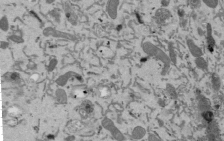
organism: Mouse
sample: ED-1 cell nuclei; centrioles